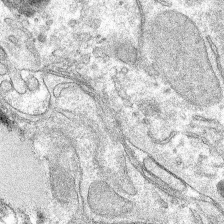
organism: Mouse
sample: Mouse hepatocytes